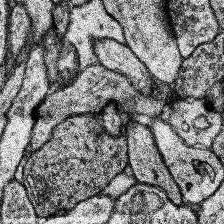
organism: Human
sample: Temporal Lobe